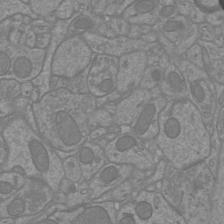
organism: Mouse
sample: Cortical neurons